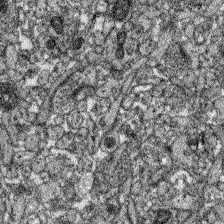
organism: Zebrafish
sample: Larval olfactory bulb